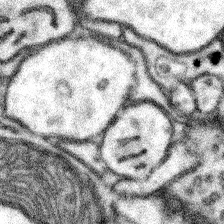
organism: Mouse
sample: Somatosensory cortex neuropil